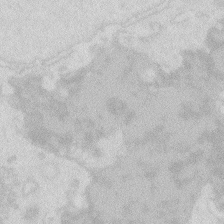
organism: Zebrafish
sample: Macrophage